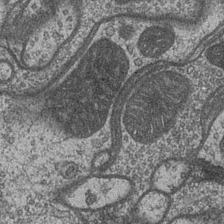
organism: Drosophila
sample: Optic medulla